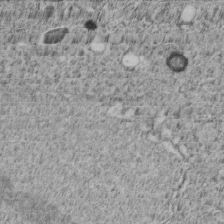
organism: C. elegans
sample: C. elegans embryo early stage